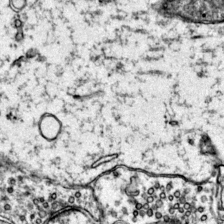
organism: Mouse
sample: Primary visual cortex